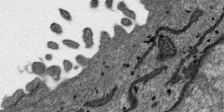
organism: Human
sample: Lung epithelial cells, uninfected (mock) control